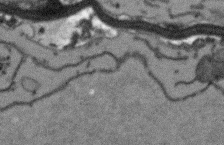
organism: Arabidopsis thaliana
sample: Root tip